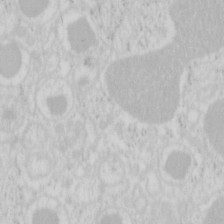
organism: Mouse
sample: Pancreas